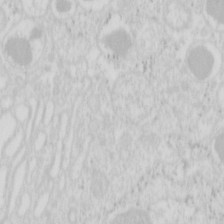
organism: Mouse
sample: Pancreas